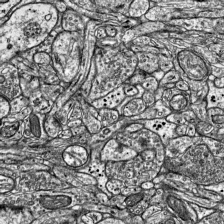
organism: Mouse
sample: Visual Cortex